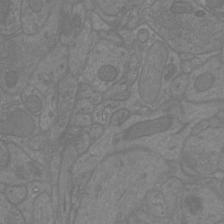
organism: Mouse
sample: Cortical neurons